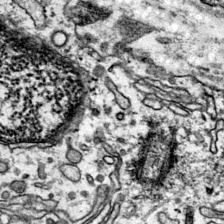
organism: Mouse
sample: Primary visual cortex